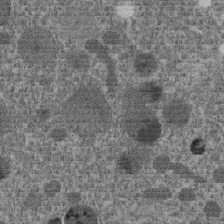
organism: C. elegans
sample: C. elegans embryo early stage